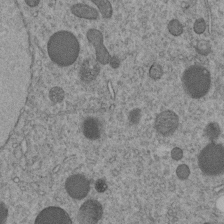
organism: C. elegans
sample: C. elegans embryo early stage